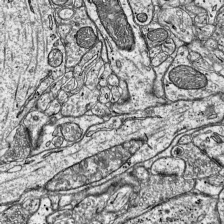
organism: Mouse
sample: Visual Cortex